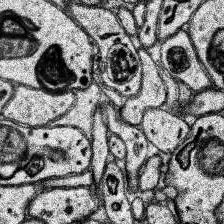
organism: Human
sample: Temporal Lobe